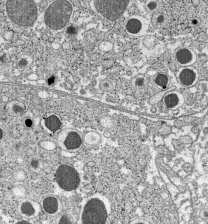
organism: C57BL Mouse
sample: Pancreatic islet